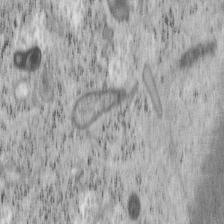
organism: Human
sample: HeLa cells